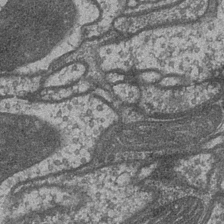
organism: Drosophila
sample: Optic medulla